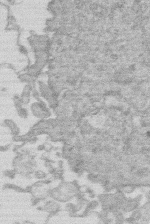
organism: Human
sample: Macrophage cells